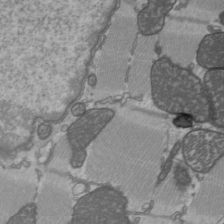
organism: C57BL Mouse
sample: Heart